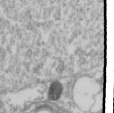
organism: Drosophila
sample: Cell division; meiosis; drosophila spermatocytes